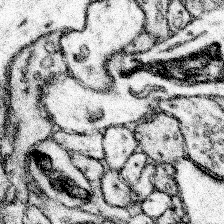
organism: Mouse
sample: Somatosensory cortex neuropil